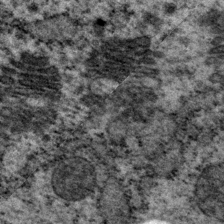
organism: P. pacificus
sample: Pharynx